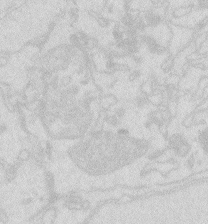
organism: Zebrafish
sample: Macrophage